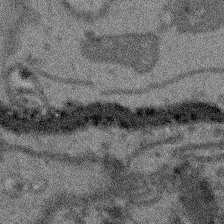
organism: Arabidopsis thaliana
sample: Root tip